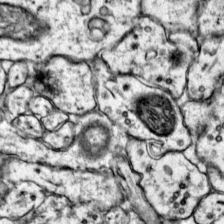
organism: Mouse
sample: Primary visual cortex